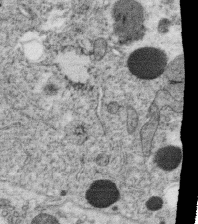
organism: C. elegans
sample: C. elegans oocyte; sperm cells